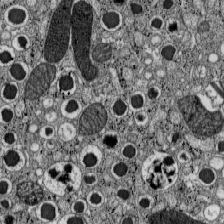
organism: C57BL Mouse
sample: Pancreatic islet